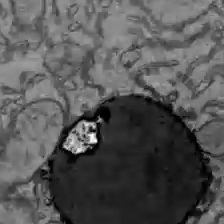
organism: C57BL Mouse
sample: Liver